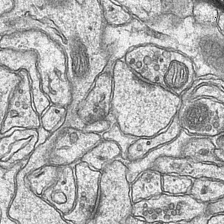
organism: Mouse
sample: CA1 Hippocampus